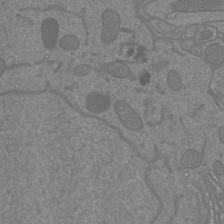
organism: Mouse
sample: Cortical neurons